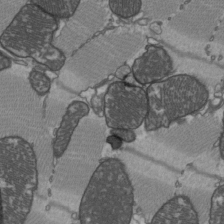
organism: C57BL Mouse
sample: Heart